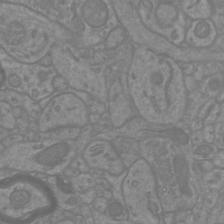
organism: Mouse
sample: Cortical neurons